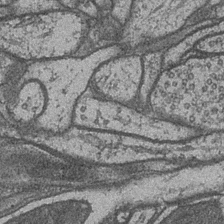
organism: Drosophila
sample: Optic medulla